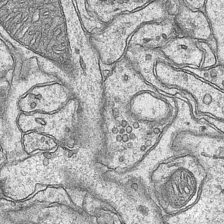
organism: Mouse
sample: CA1 Hippocampus